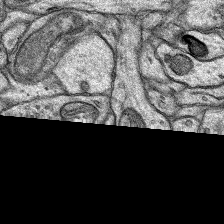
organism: Rat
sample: Hippocampus